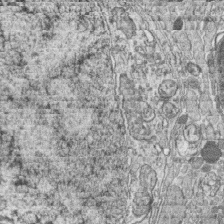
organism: Zebrafish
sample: synaptic ribbons in rod cells and cone cells